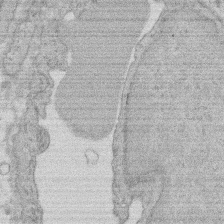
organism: Rat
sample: Salivary granule